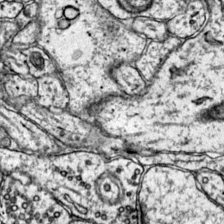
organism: Mouse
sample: Primary visual cortex